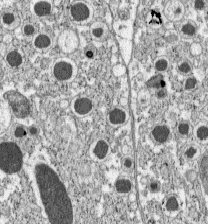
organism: C57BL Mouse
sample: Pancreatic islet